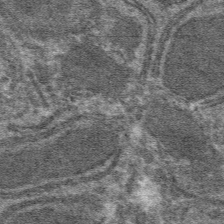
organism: Mouse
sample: Mouse hepatocytes